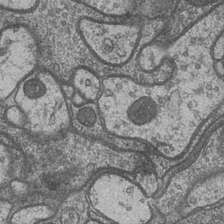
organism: Drosophila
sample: Optic medulla